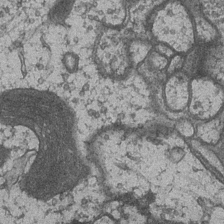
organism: Drosophila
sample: Optic medulla